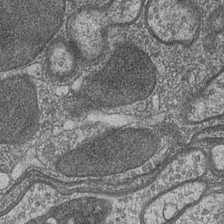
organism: Drosophila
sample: Optic medulla